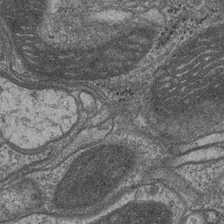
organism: Drosophila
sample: Optic medulla